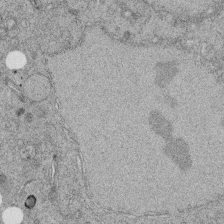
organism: C. elegans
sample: C. elegans embryo early stage